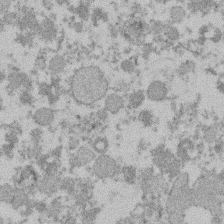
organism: Mouse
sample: Dividing mouse embryo 1 cell stage